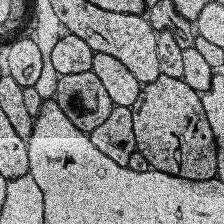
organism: Human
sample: Temporal Lobe